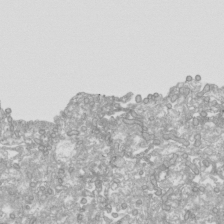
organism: Human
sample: Mitochondria in HCT116 cells